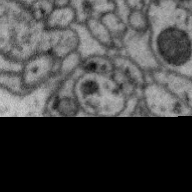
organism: Zebra finch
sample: Brain